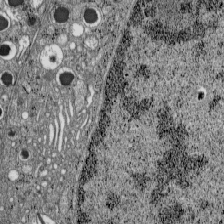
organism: C57BL Mouse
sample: Pancreatic islet